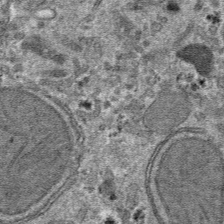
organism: Mouse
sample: Mouse hepatocytes